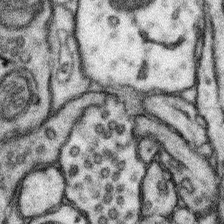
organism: Mouse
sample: Somatosensory cortex neuropil